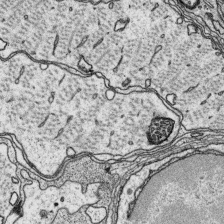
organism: Platynereis dumerilii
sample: Parapodia